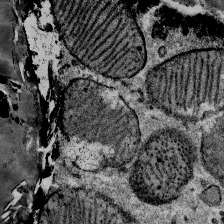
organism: Mouse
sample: Mouse Salivary gland